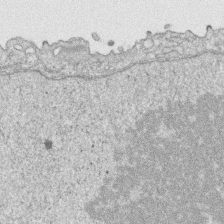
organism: Human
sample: HeLa cell HIV synapse